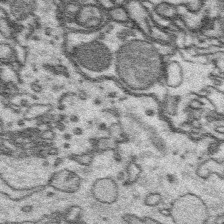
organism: Platynereis dumerilii